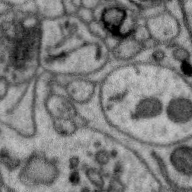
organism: Zebra finch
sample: Brain